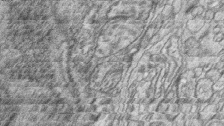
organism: Zebrafish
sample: synaptic ribbons in rod cells and cone cells